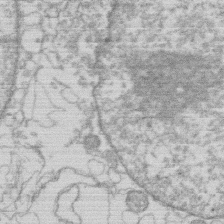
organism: Human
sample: Macrophage cells